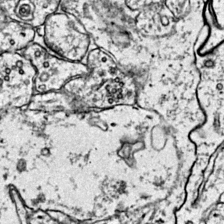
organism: Mouse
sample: Primary visual cortex